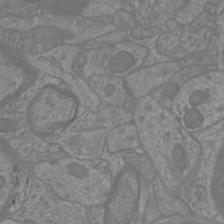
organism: Mouse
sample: Cortical neurons